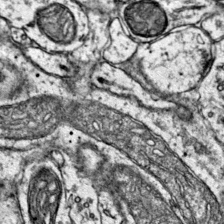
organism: Mouse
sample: Primary visual cortex